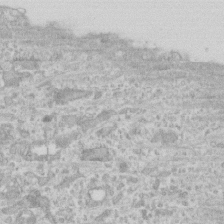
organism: Human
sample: CRL-1474